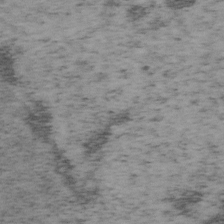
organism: Mouse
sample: OT-I killer T cells with ID8 ovarian cancer cells